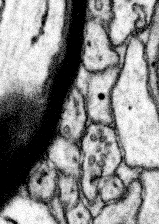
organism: Mouse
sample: Somatosensory cortex neuropil